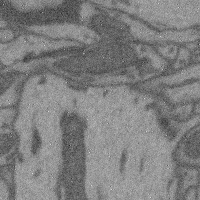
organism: Mouse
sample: Cerebral cortex